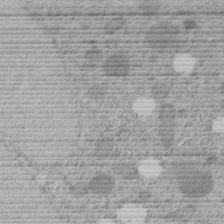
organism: C. elegans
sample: C. elegans embryo early stage